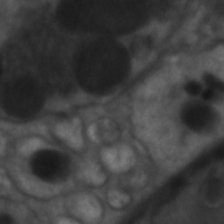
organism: C. elegans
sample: Pharynx